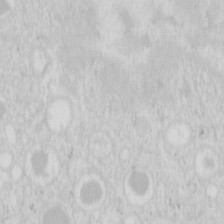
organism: Mouse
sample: Pancreas